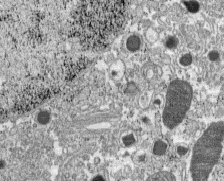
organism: C57BL Mouse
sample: Pancreatic islet